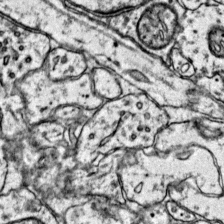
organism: Mouse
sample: Primary visual cortex